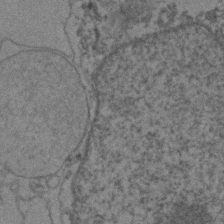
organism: Zebrafish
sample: Zebrafish embryo